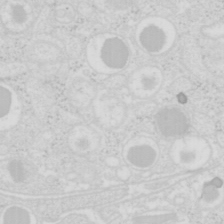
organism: Mouse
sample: Pancreas